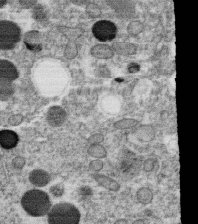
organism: C. elegans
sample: C. elegans oocyte; sperm cells